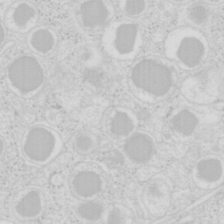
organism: Mouse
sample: Pancreas